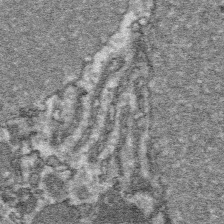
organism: Platynereis dumerilii